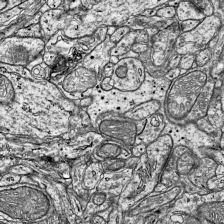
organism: Mouse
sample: Visual Cortex